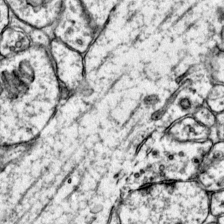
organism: Mouse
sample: Primary visual cortex